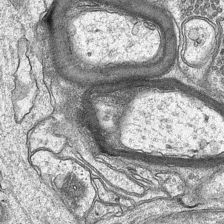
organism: Mouse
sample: CA1 Hippocampus